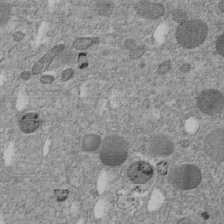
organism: C. elegans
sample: C. elegans embryo early stage